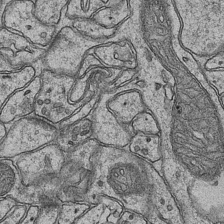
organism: Mouse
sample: CA1 Hippocampus